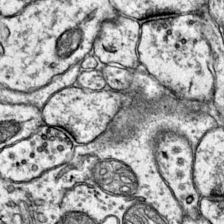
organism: Mouse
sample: Primary visual cortex